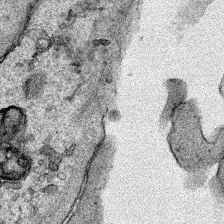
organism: Human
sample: Mitochondria in HCT116 cells